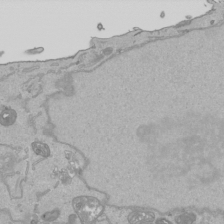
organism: Human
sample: Mitochondria in HCT116 cells